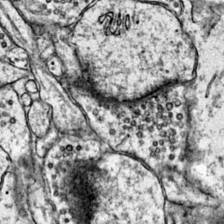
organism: Mouse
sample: Primary visual cortex